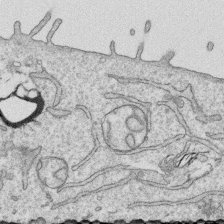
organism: Human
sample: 1205lu cells